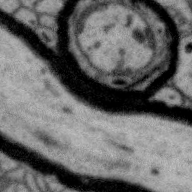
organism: Zebra finch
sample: Brain